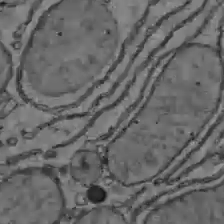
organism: C57BL Mouse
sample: Liver